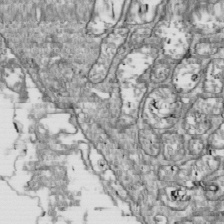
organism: Drosophila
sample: Cell division; meiosis; drosophila spermatocytes